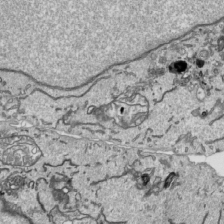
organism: Human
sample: Mitochondria in HCT116 cells